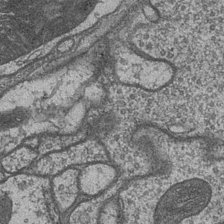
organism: Drosophila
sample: Optic medulla